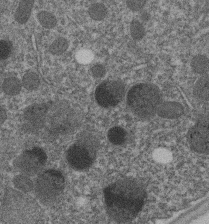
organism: C. elegans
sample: C. elegans embryo early stage